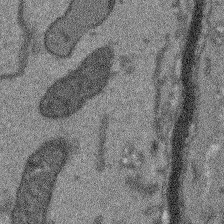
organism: Arabidopsis thaliana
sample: Root tip